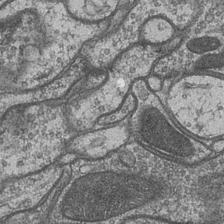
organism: Drosophila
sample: Optic medulla